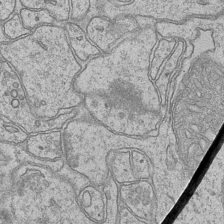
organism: Mouse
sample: CA1 Hippocampus